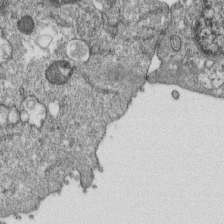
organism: African green monkey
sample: Vero E6 cells infected with SARS-CoV-2